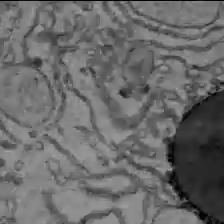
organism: C57BL Mouse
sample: Liver